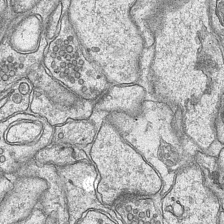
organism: Mouse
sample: CA1 Hippocampus